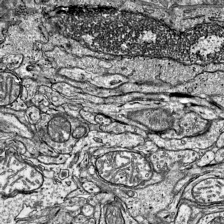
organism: Mouse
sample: Visual Cortex